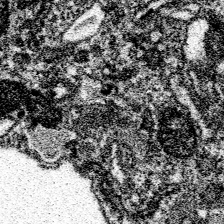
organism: Spongilla lacustris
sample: Neuroid cell